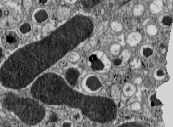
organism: C57BL Mouse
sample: Pancreatic islet